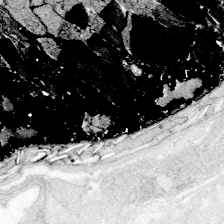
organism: Zebrafish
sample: Whole-Brain